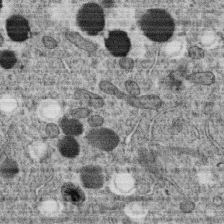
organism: C. elegans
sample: C. elegans oocyte; sperm cells